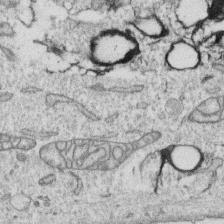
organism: Human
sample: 1205lu cells